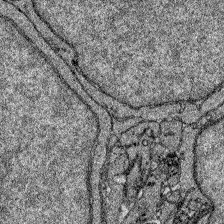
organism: Zebrafish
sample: Larval olfactory bulb